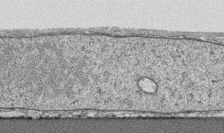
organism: Human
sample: CRL-1474